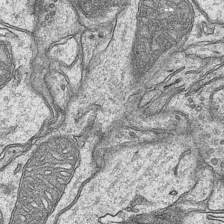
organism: Mouse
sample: CA1 Hippocampus